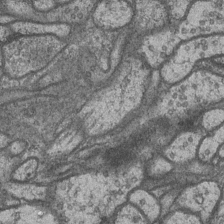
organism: Drosophila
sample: Optic medulla